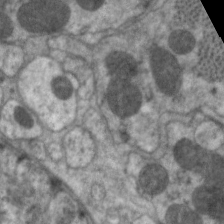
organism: C. elegans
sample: Pharynx